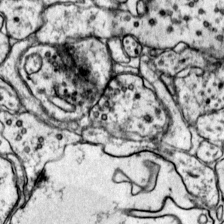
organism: Mouse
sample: Primary visual cortex